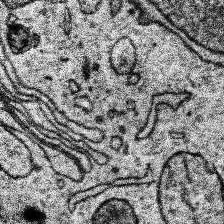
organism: Human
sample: Temporal Lobe